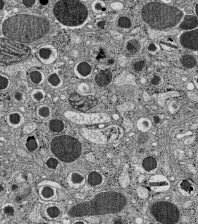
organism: C57BL Mouse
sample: Pancreatic islet